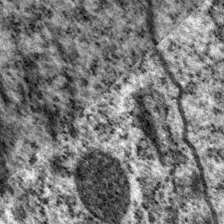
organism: P. pacificus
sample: Pharynx